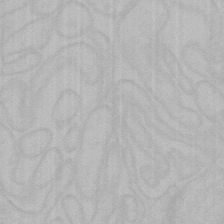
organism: Mouse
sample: Choroid plexus